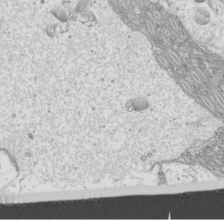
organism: Mouse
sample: Cilia; mouse epididymis